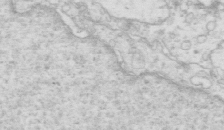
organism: Mouse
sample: Multiciliated cells